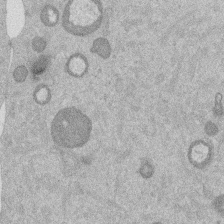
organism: Mouse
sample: Dividing mouse embryo 1 cell stage